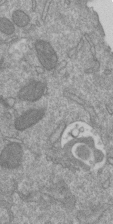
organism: Mouse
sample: ED-1 cell nuclei; centrioles